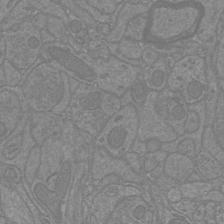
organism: Mouse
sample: Cortical neurons